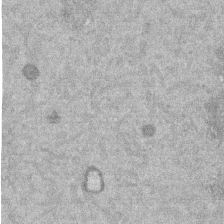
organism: Mouse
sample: Dividing mouse embryo 1 cell stage